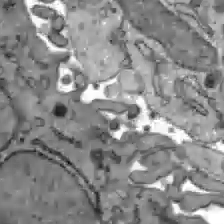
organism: C57BL Mouse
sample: Liver